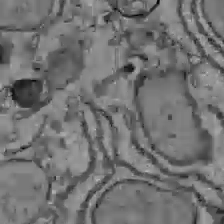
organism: C57BL Mouse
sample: Liver